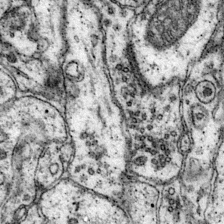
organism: Mouse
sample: Primary visual cortex